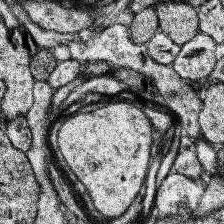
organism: Human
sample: Temporal Lobe